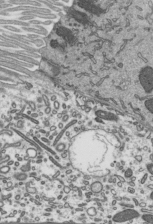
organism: Mouse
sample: Mouse epididymis efferent ductule cilia